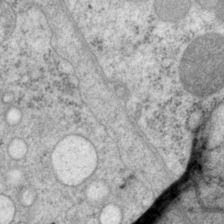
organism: P. pacificus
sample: Pharynx